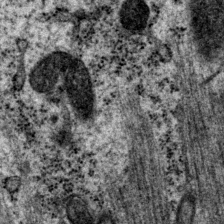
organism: P. pacificus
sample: Pharynx